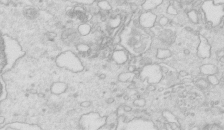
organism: Mouse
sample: Multiciliated cells